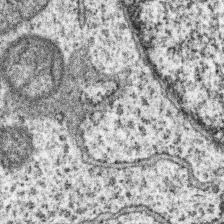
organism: Human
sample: HeLa cells